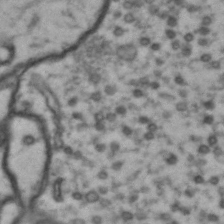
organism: Drosophila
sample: Brain